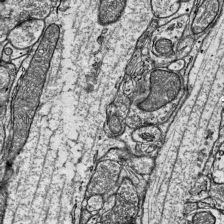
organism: Mouse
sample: Visual Cortex